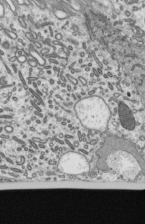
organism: Mouse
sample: Mouse epididymis efferent ductule cilia